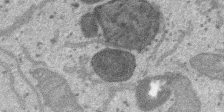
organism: Human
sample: Lung epithelial cells infected with SARS-CoV-2